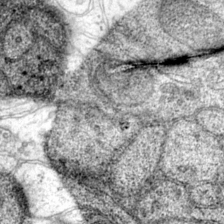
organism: Mouse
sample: Primary visual cortex